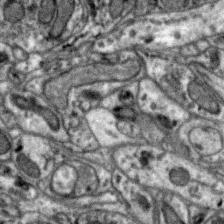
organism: Zebra finch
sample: Brain